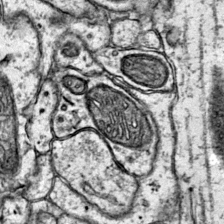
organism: Mouse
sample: Primary visual cortex